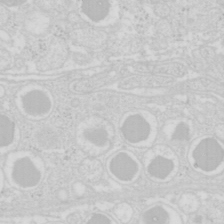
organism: Mouse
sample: Pancreas